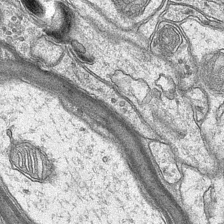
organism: Mouse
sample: CA1 Hippocampus